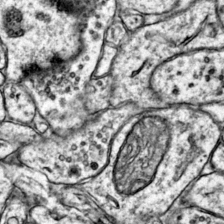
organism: Mouse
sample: Primary visual cortex